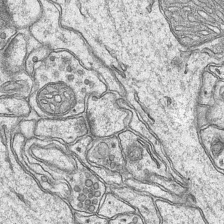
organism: Mouse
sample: CA1 Hippocampus